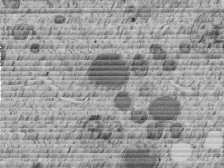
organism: C. elegans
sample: C. elegans embryo early stage